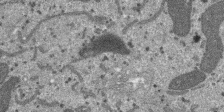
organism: Human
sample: Lung epithelial cells infected with SARS-CoV-2